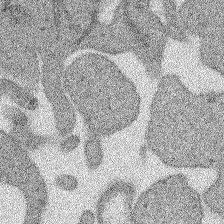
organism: Human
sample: HeLa cells